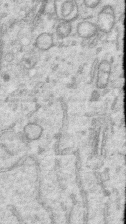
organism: Human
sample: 1205lu cells